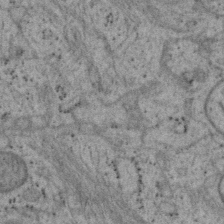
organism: Human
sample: HeLa cells